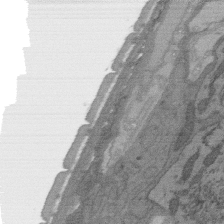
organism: C. elegans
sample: AFD neurons C. elegans